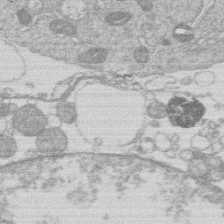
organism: Human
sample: Macrophage cells